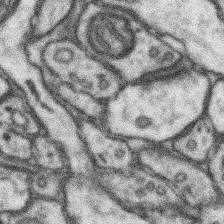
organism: Mouse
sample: Somatosensory cortex neuropil